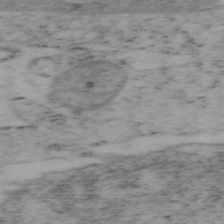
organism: Mouse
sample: OT-I killer T cells with ID8 ovarian cancer cells